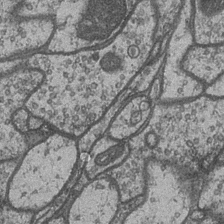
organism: Drosophila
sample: Optic medulla